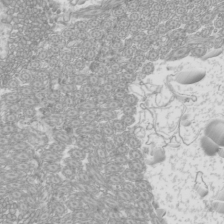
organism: Mouse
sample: Cilia; mouse epididymis